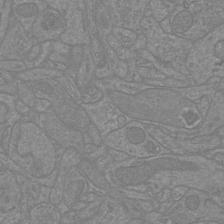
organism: Mouse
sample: Cortical neurons